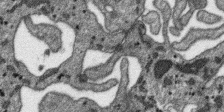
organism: Human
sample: Lung epithelial cells infected with SARS-CoV-2